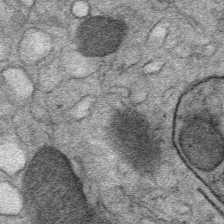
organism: Mouse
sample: Mouse Salivary gland